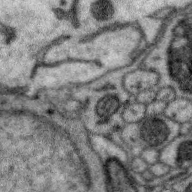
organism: Zebra finch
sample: Brain